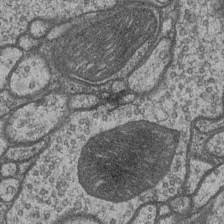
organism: Drosophila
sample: Optic medulla